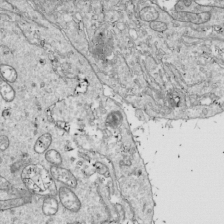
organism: Drosophila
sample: Cell division; meiosis; drosophila spermatocytes